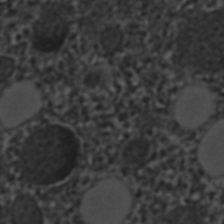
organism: C. elegans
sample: C. elegans embryo